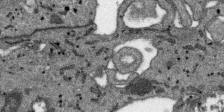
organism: Human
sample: Lung epithelial cells, uninfected (mock) control